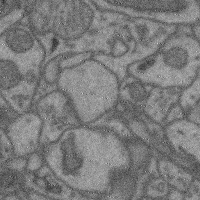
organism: Mouse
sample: Cerebral cortex